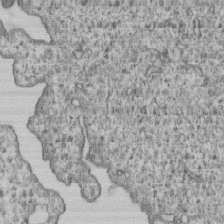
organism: Human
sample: MDA-MB-231 cells